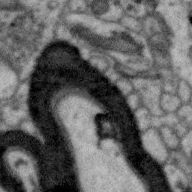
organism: Zebra finch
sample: Brain